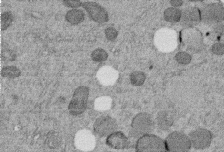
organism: C. elegans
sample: C. elegans embryo early stage